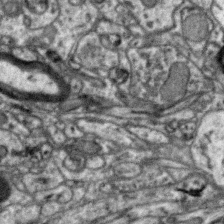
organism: Zebra finch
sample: Brain